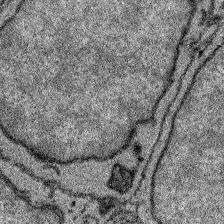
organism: Zebrafish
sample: Larval olfactory bulb